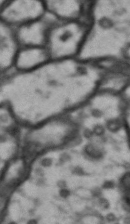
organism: Drosophila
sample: Brain